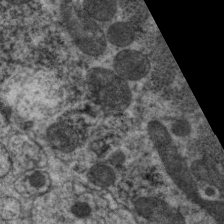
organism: C. elegans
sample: Pharynx